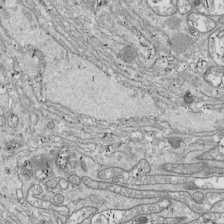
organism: Drosophila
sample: Cell division; meiosis; drosophila spermatocytes